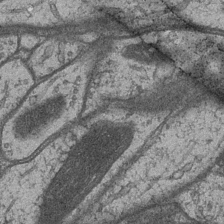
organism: Drosophila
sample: Optic medulla